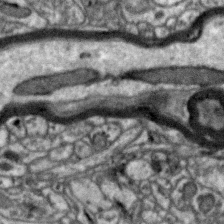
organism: Zebra finch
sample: Brain